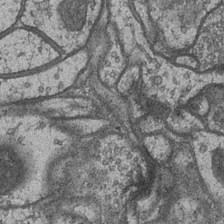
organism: Drosophila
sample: Optic medulla